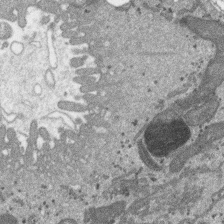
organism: Human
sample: Lung epithelial cells infected with SARS-CoV-2